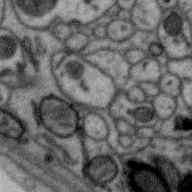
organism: Zebra finch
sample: Brain